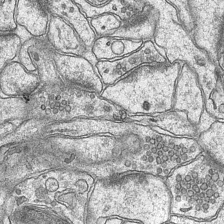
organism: Mouse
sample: CA1 Hippocampus